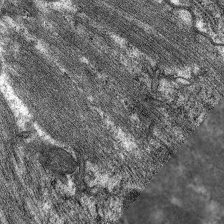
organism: C. elegans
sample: Pharynx